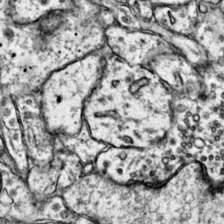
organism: Mouse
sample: Primary visual cortex